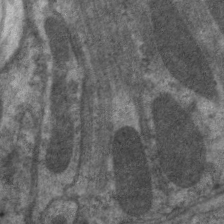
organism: C. elegans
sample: Pharynx